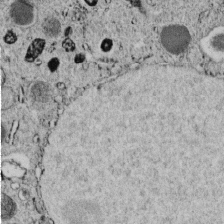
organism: C. elegans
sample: C. elegans embryo early stage